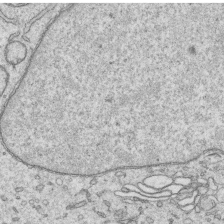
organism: Human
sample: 1205lu cells